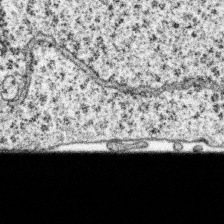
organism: Human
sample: HeLa cells